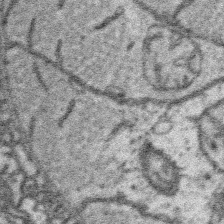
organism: Platynereis dumerilii